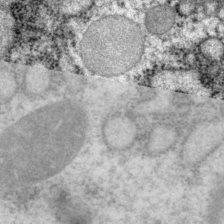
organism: P. pacificus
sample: Pharynx